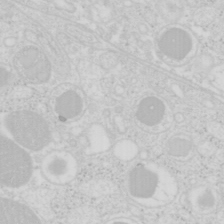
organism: Mouse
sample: Pancreas